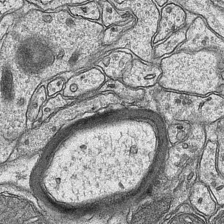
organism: Mouse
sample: CA1 Hippocampus